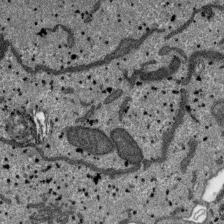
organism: Human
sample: Lung epithelial cells, uninfected (mock) control